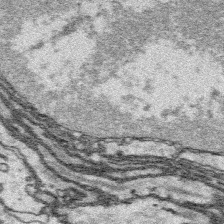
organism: Platynereis dumerilii